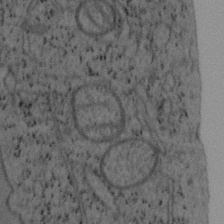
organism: Human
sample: HeLa cells